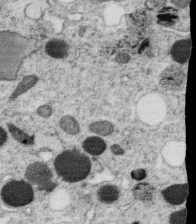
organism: C. elegans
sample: C. elegans oocyte; sperm cells